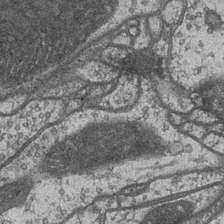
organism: Drosophila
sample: Optic medulla